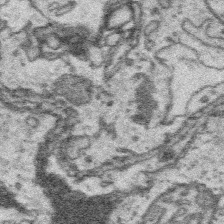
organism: Platynereis dumerilii